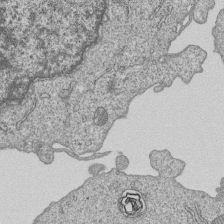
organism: Human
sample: MDA-MB-231 cells